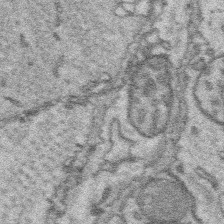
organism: Platynereis dumerilii